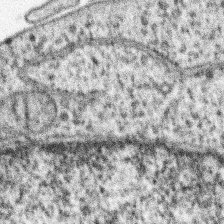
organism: Human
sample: HeLa cells